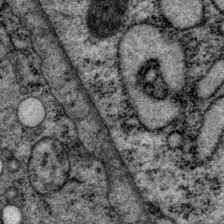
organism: P. pacificus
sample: Pharynx